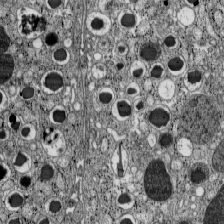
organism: C57BL Mouse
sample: Pancreatic islet